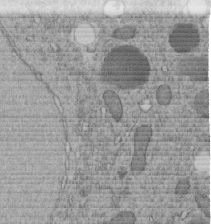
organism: C. elegans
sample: C. elegans embryo early stage